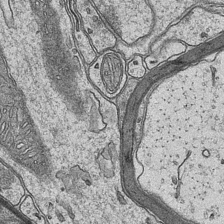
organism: Mouse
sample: CA1 Hippocampus